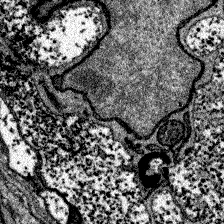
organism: Zebrafish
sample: Larval olfactory bulb